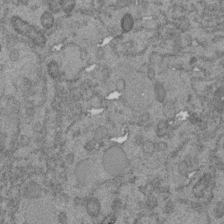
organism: C. elegans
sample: C. elegans embryo early stage